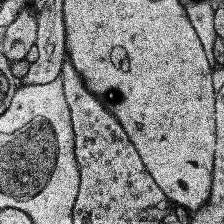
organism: Human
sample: Temporal Lobe